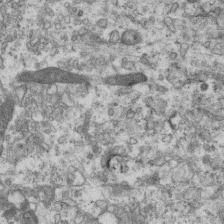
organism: Mouse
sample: Centriole in ependymal cells